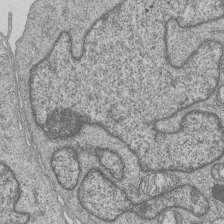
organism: Human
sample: MDA-MB-231 cells